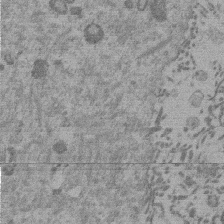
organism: Mouse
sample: Dividing mouse embryo 1 cell stage